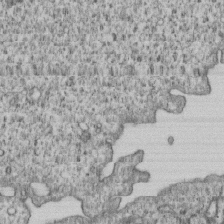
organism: Human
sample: MDA-MB-231 cells